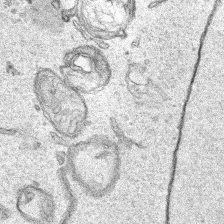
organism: Human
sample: Mitochondria in HCT116 cells